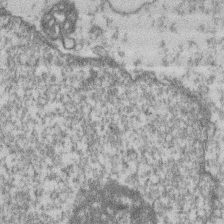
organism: Mouse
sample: T cell stromal cell synapse